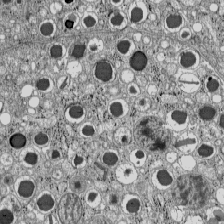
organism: C57BL Mouse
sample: Pancreatic islet